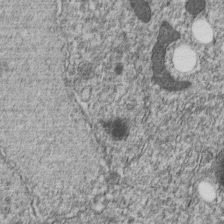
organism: C. elegans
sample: C. elegans embryo early stage